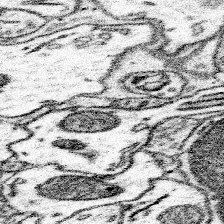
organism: Mouse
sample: Somatosensory cortex neuropil